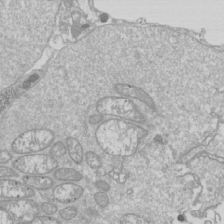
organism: Drosophila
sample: Cell division; meiosis; drosophila spermatocytes